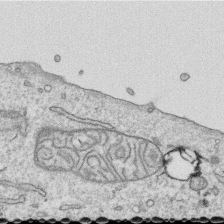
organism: Human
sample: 1205lu cells